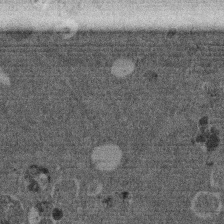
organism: Mouse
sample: Dividing mouse embryo 1 cell stage